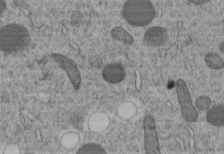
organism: C. elegans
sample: C. elegans embryo early stage